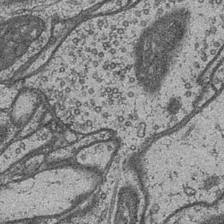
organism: Drosophila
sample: Optic medulla